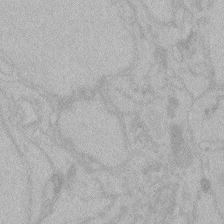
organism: Zebrafish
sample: Macrophage infected with Toxoplasma gondii